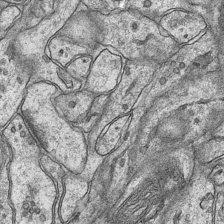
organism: Mouse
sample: CA1 Hippocampus